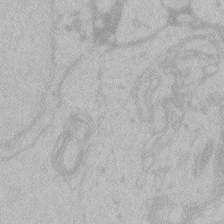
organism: Zebrafish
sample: Macrophage infected with Toxoplasma gondii